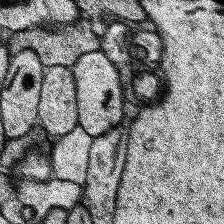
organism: Human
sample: Temporal Lobe